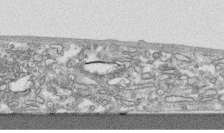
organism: Human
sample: CRL-1474